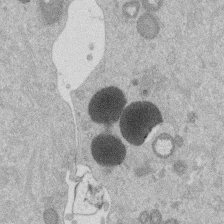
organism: Mouse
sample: Dividing mouse embryo 1 cell stage